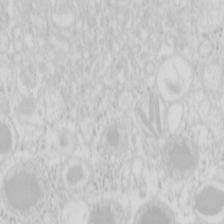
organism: Mouse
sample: Pancreas